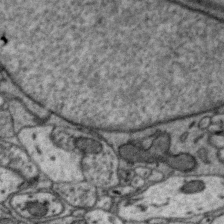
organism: Zebra finch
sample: Brain